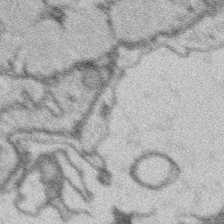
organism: Platynereis dumerilii